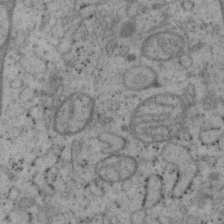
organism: Human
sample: HeLa cells